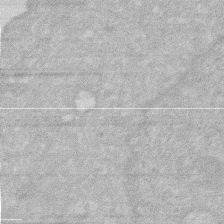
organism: Human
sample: HIV infected U937 cells